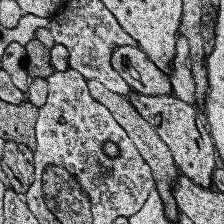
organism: Human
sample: Temporal Lobe